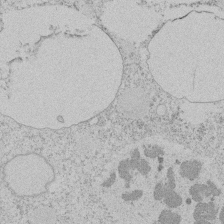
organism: Tetrahymena